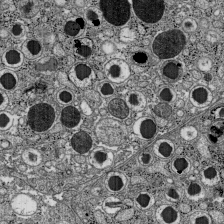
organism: C57BL Mouse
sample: Pancreatic islet